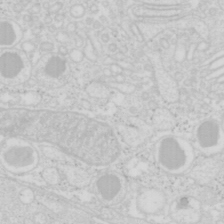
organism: Mouse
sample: Pancreas